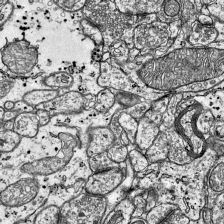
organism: Mouse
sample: Visual Cortex